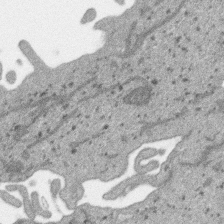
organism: Human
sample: Lung epithelial cells infected with SARS-CoV-2